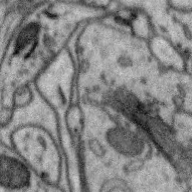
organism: Zebra finch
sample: Brain